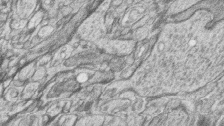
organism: Zebrafish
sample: synaptic ribbons in rod cells and cone cells